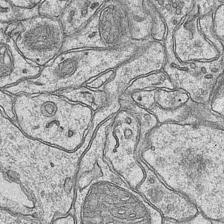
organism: Mouse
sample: CA1 Hippocampus